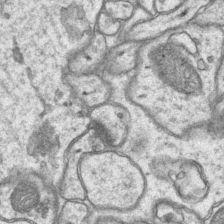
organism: Mouse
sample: CA1 Hippocampus